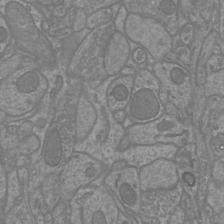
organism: Mouse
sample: Cortical neurons